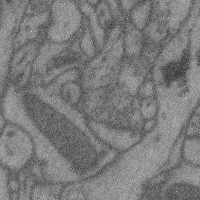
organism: Mouse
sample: Cerebral cortex